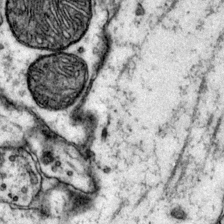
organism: Mouse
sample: Primary visual cortex